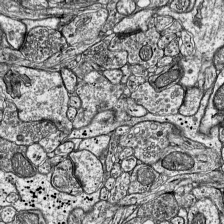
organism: Mouse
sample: Visual Cortex